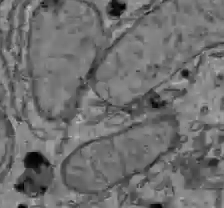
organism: C57BL Mouse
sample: Liver